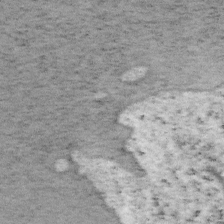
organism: Mouse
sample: OT-I killer T cells with ID8 ovarian cancer cells